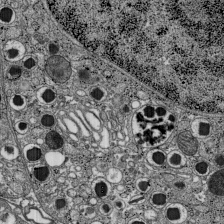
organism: C57BL Mouse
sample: Pancreatic islet